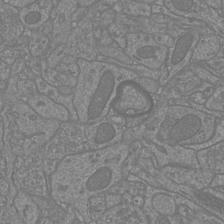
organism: Mouse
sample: Cortical neurons